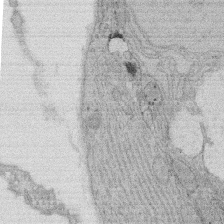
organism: Rat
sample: Salivary granule